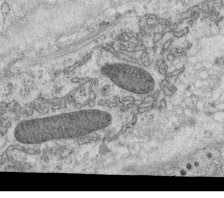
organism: C. elegans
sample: C. elegans oocyte; sperm cells